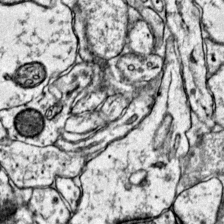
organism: Mouse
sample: Primary visual cortex